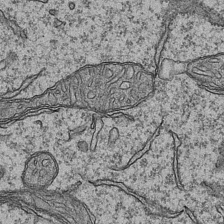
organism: Mouse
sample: CA1 Hippocampus